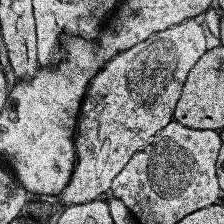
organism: Human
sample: Temporal Lobe